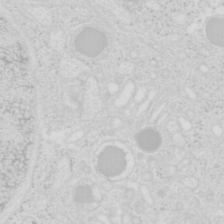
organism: Mouse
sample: Pancreas